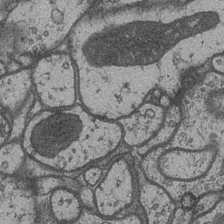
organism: Drosophila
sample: Optic medulla